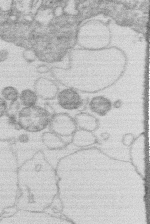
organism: Human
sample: Macrophage cells